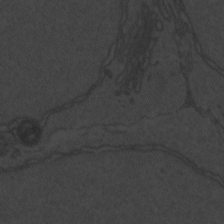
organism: Zebrafish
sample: Macrophage infected with Toxoplasma gondii